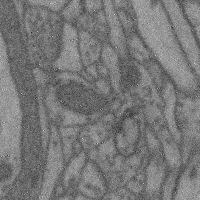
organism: Mouse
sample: Cerebral cortex